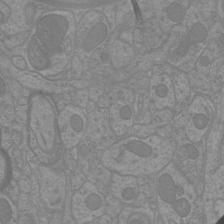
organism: Mouse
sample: Cortical neurons